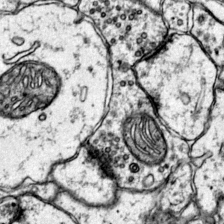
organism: Mouse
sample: Primary visual cortex